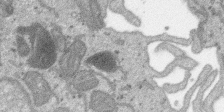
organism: Human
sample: Lung epithelial cells infected with SARS-CoV-2